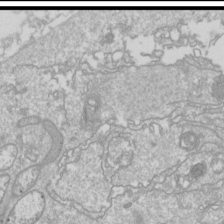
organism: Drosophila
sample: Cell division; meiosis; drosophila spermatocytes